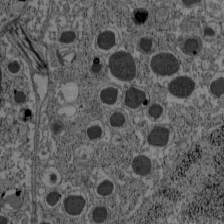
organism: C57BL Mouse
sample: Pancreatic islet